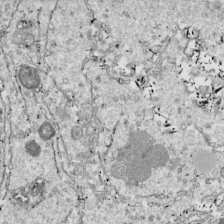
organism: Drosophila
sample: Cell division; meiosis; drosophila spermatocytes